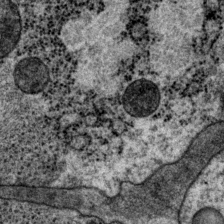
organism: P. pacificus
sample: Pharynx